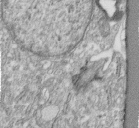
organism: Human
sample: Centriole in fibroblast cells